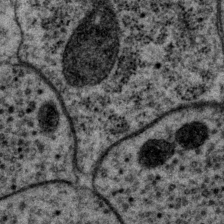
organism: P. pacificus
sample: Pharynx